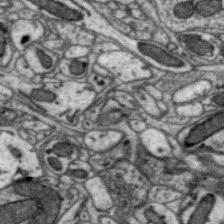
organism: Zebra finch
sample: Brain